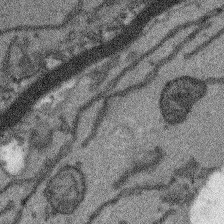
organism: Arabidopsis thaliana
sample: Root tip